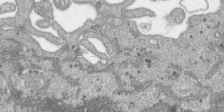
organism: Human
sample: Lung epithelial cells infected with SARS-CoV-2